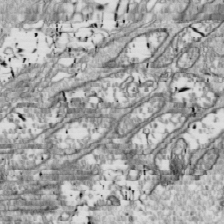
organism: Drosophila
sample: Cell division; meiosis; drosophila spermatocytes